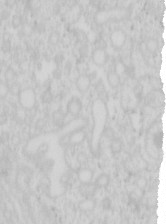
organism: Mouse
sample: Pancreas